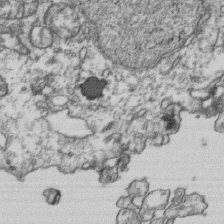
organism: Human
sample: Activated Jurkat CD4+ T cells